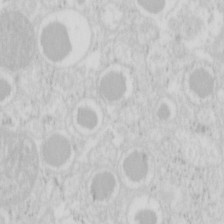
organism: Mouse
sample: Pancreas